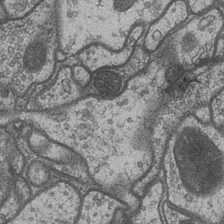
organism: Drosophila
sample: Optic medulla